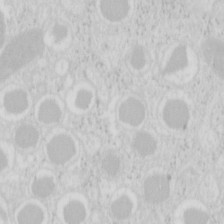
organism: Mouse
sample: Pancreas